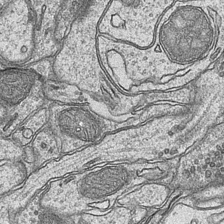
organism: Mouse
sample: CA1 Hippocampus